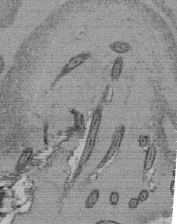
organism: Tetrahymena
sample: Cilia in tetrahymena